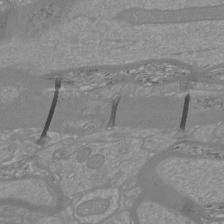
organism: Mouse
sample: Cortical neurons